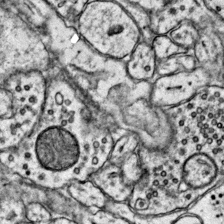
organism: Mouse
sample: Primary visual cortex